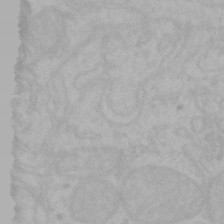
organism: Mouse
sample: Choroid plexus